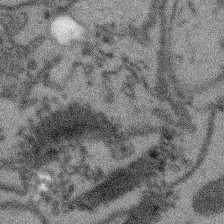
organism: Arabidopsis thaliana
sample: Root tip